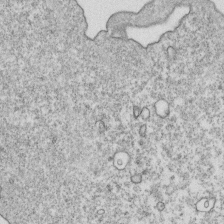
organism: Mouse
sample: Activated OT-1 CD8+ T cells